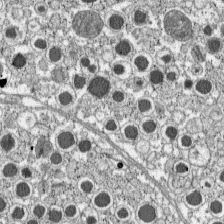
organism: C57BL Mouse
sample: Pancreatic islet